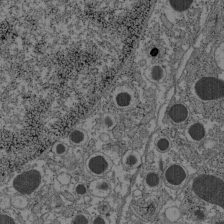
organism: C57BL Mouse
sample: Pancreatic islet